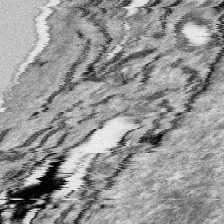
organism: Human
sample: HeLa cells